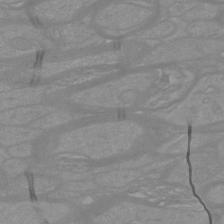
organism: Mouse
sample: Cortical neurons